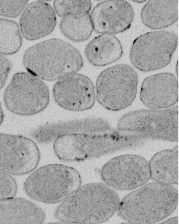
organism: E. coli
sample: Bacterial nucleoid